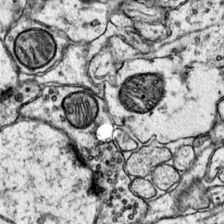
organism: Mouse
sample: Primary visual cortex